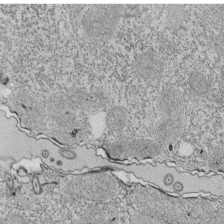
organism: Tetrahymena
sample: Cilia in tetrahymena